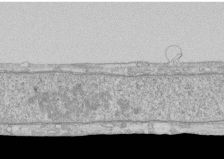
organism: Human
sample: CRL-1474